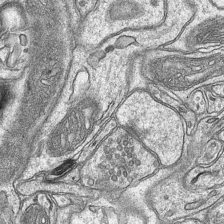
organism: Mouse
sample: CA1 Hippocampus